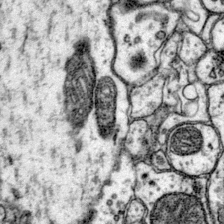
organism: Mouse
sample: Primary visual cortex